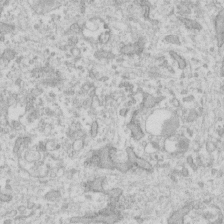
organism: Human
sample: Fibroblast cells